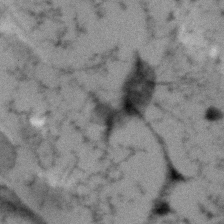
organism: Human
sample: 1205lu cells